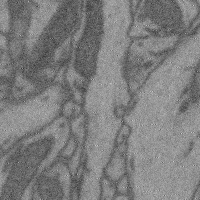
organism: Mouse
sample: Cerebral cortex